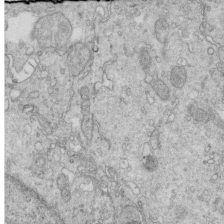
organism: Mouse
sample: Multiciliated cells